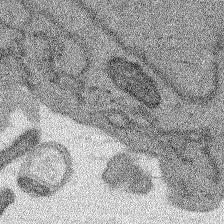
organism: Human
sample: HeLa cells